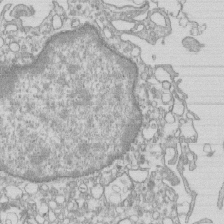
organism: Mouse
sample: Macrophages